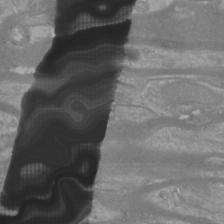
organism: Mouse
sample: Cortical neurons